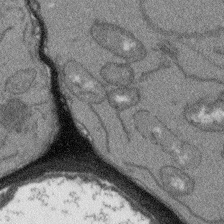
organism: Arabidopsis thaliana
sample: Root tip